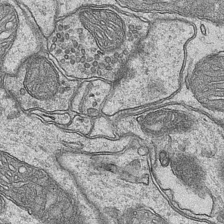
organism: Mouse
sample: CA1 Hippocampus